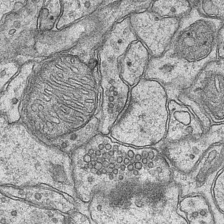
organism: Mouse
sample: CA1 Hippocampus